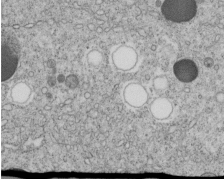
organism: C. elegans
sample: C. elegans embryo early stage